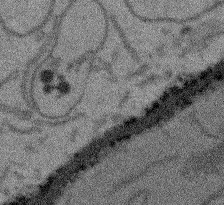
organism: Arabidopsis thaliana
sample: Root tip